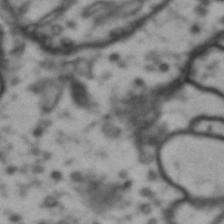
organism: Drosophila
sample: Brain